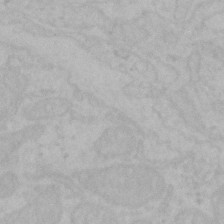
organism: Mouse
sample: Choroid plexus